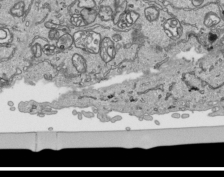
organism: Human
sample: Mitochondria in HCT116 cells